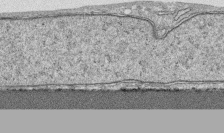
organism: Human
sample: CRL-1474